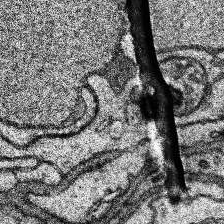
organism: Human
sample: Temporal Lobe